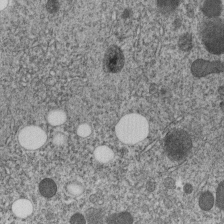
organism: C. elegans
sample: C. elegans embryo early stage